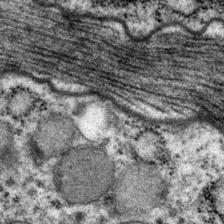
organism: P. pacificus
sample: Pharynx